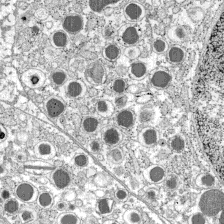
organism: C57BL Mouse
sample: Pancreatic islet